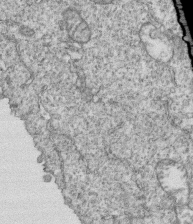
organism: Human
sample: HeLa cell HIV synapse